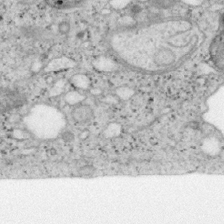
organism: Mouse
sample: OT-I killer T cells with ID8 ovarian cancer cells